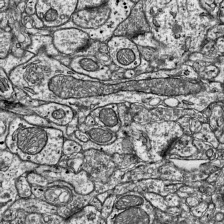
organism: Mouse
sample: Visual Cortex